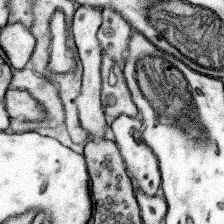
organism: Mouse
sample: Somatosensory cortex neuropil